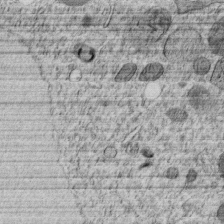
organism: C. elegans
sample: C. elegans embryo early stage